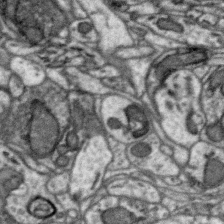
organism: Zebra finch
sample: Brain